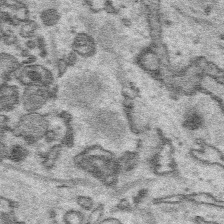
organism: Platynereis dumerilii